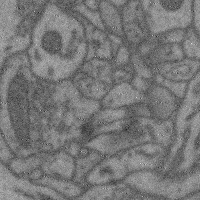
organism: Mouse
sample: Cerebral cortex